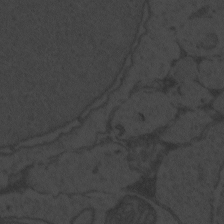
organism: Zebrafish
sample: Macrophage infected with Toxoplasma gondii